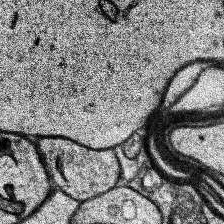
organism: Human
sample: Temporal Lobe